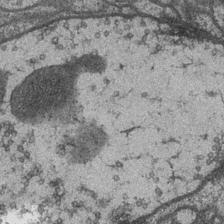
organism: Drosophila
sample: Optic medulla